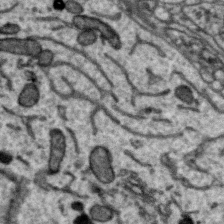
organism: Zebra finch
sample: Brain